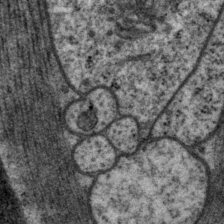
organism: P. pacificus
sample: Pharynx